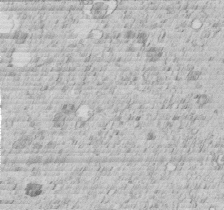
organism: C. elegans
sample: C. elegans embryo early stage